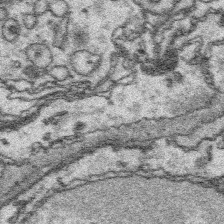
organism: Platynereis dumerilii